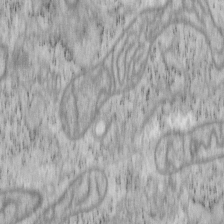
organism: Human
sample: HeLa cells